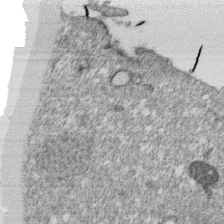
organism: African green monkey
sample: Vero E6 cells infected with SARS-CoV-2